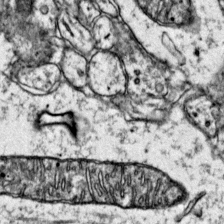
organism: Mouse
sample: Primary visual cortex